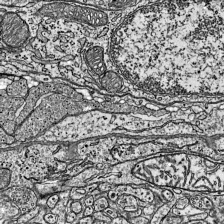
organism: Mouse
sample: Visual Cortex